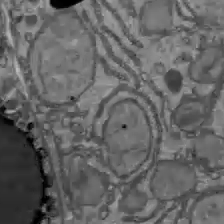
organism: C57BL Mouse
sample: Liver